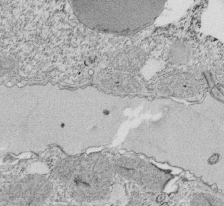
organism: Tetrahymena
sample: Cilia in tetrahymena